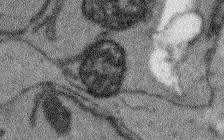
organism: Arabidopsis thaliana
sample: Root tip